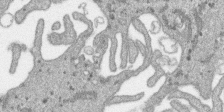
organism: Human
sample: Lung epithelial cells infected with SARS-CoV-2